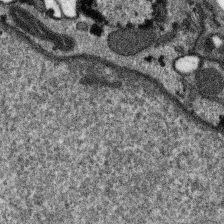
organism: Human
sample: Lung epithelial cells infected with SARS-CoV-2